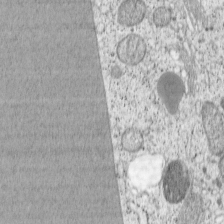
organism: African green monkey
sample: COS-7 cells